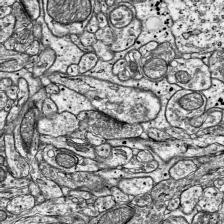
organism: Mouse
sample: Visual Cortex